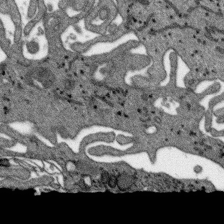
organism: Human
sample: Lung epithelial cells, uninfected (mock) control